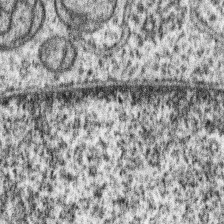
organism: Human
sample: HeLa cells